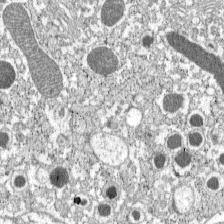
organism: C57BL Mouse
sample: Pancreatic islet